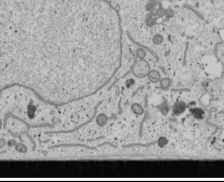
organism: Human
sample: Mitochondria in U2OS cells